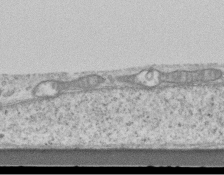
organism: Mouse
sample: Centriole in ependymal cells